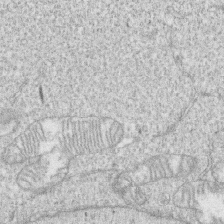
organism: Human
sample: HeLa cell HIV synapse